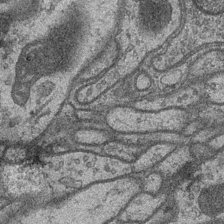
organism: Drosophila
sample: Optic medulla